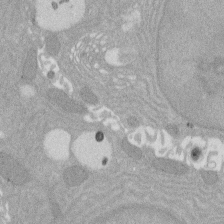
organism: Rat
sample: Salivary granule